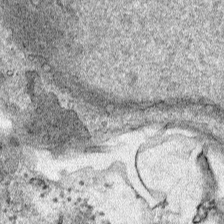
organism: Human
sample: Mitochondria in HCT116 cells